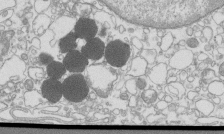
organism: Mouse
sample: Macrophages